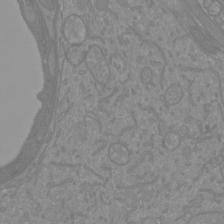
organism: Mouse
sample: Cortical neurons